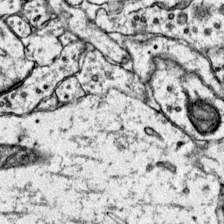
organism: Mouse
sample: Primary visual cortex